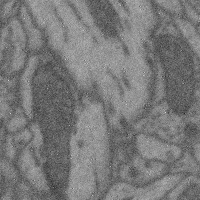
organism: Mouse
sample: Cerebral cortex